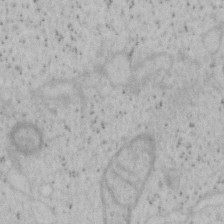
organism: Human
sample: HeLa cells